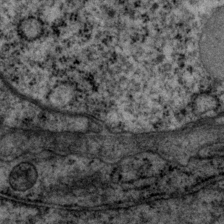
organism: P. pacificus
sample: Pharynx